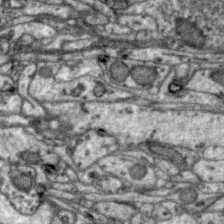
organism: Zebra finch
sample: Brain